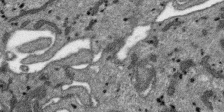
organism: Human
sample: Lung epithelial cells, uninfected (mock) control